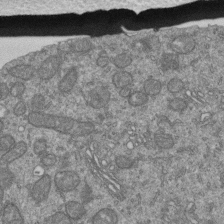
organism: Human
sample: Retinal organoid Rod and Cone cells